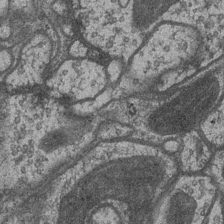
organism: Drosophila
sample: Optic medulla